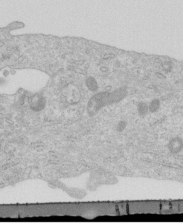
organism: Human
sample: Centriole in RPE cells